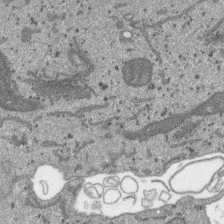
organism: Human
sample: Lung epithelial cells infected with SARS-CoV-2